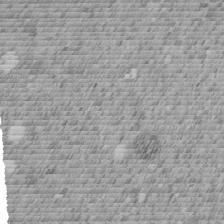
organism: C. elegans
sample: C. elegans embryo early stage